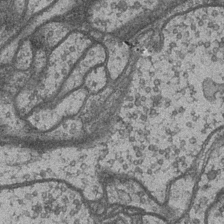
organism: Drosophila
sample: Optic medulla